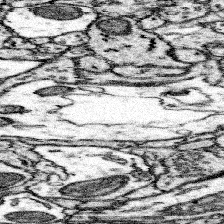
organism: Mouse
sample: Somatosensory cortex neuropil